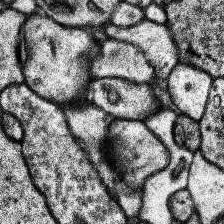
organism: Human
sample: Temporal Lobe